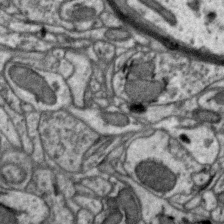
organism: Zebra finch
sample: Brain